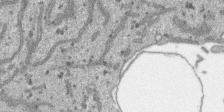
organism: Human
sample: Lung epithelial cells infected with SARS-CoV-2